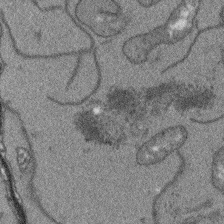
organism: Arabidopsis thaliana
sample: Root tip